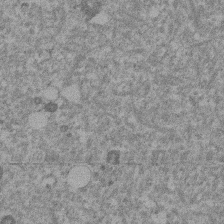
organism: Mouse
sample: Dividing mouse embryo 1 cell stage